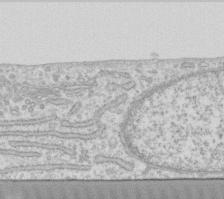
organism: Human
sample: Fibroblast cells